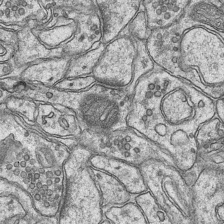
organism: Mouse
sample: CA1 Hippocampus